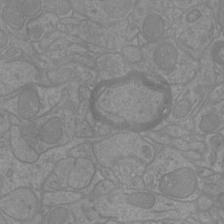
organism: Mouse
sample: Cortical neurons